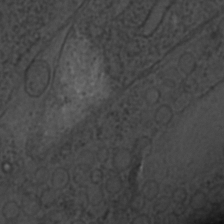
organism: C. elegans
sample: C. elegans embryo